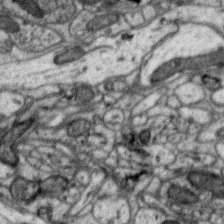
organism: Zebra finch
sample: Brain